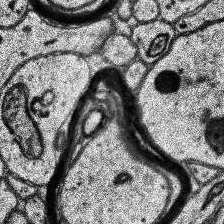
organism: Human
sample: Temporal Lobe